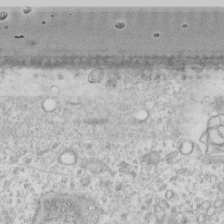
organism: Human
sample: Fibroblast cells